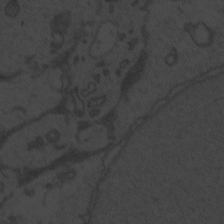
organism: Zebrafish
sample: Macrophage infected with Toxoplasma gondii